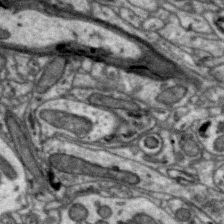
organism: Zebra finch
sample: Brain